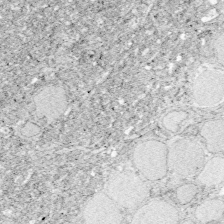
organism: Zebrafish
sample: Whole-Brain